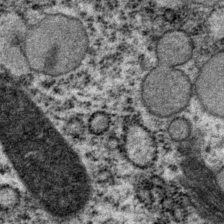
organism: P. pacificus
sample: Pharynx